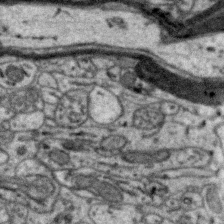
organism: Zebra finch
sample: Brain